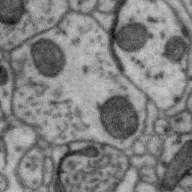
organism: Zebra finch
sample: Brain